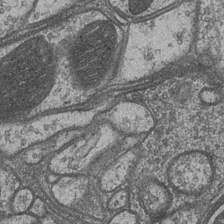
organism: Drosophila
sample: Optic medulla